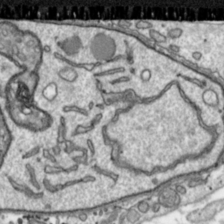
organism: Toxoplasma gondii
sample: Parasites in a vacuole inside a host cell